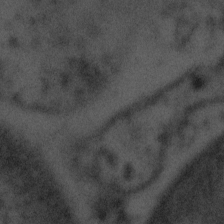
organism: Tuwongella immobilis